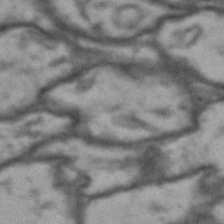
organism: Drosophila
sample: Brain